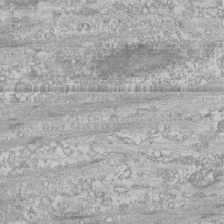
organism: Human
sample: CRL-1474